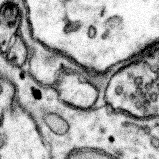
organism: Mouse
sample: Somatosensory cortex neuropil